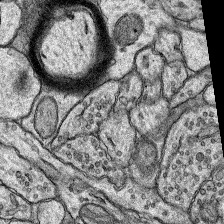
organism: Rat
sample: Hippocampus